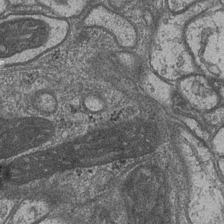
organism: Drosophila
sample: Optic medulla